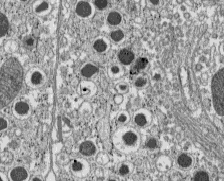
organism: C57BL Mouse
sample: Pancreatic islet